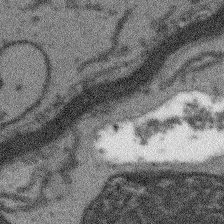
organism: Arabidopsis thaliana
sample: Root tip